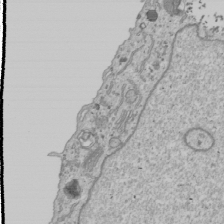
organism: Human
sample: Mitochondria in U2OS cells